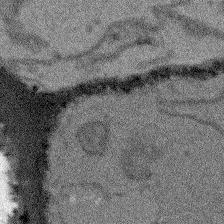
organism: Arabidopsis thaliana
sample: Root tip